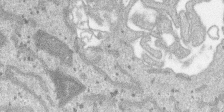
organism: Human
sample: Lung epithelial cells infected with SARS-CoV-2